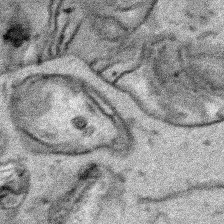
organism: Human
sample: Mitochondria in HCT116 cells